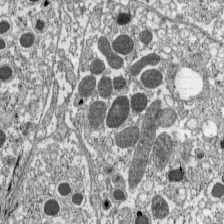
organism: C57BL Mouse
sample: Pancreatic islet